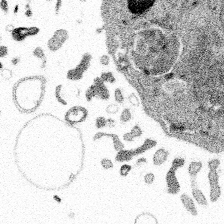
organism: Spongilla lacustris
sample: Multiple